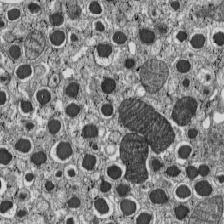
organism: C57BL Mouse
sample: Pancreatic islet